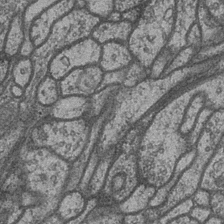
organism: Drosophila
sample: Optic medulla